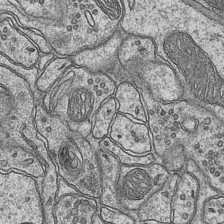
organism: Mouse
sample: CA1 Hippocampus